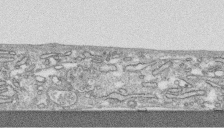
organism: Human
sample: CRL-1474